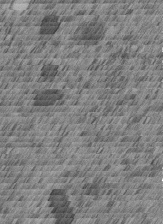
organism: C. elegans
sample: C. elegans embryo early stage